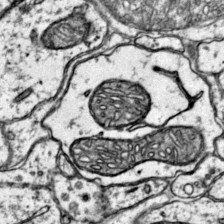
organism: Mouse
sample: Primary visual cortex